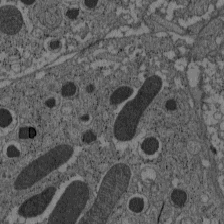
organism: C57BL Mouse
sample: Pancreatic islet